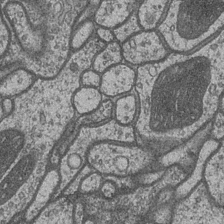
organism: Drosophila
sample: Optic medulla